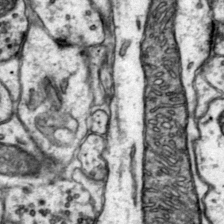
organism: Mouse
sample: Primary visual cortex